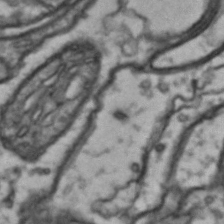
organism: Drosophila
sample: Brain